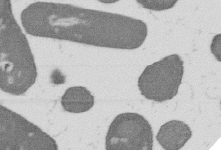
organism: B. subtilis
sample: Bacterial spore